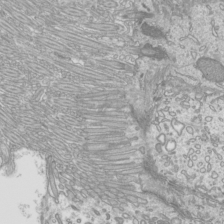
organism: Mouse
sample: Cilia; mouse epididymis